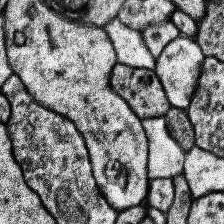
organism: Human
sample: Temporal Lobe